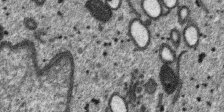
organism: Human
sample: Lung epithelial cells infected with SARS-CoV-2